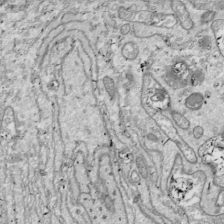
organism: Drosophila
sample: Cell division; meiosis; drosophila spermatocytes